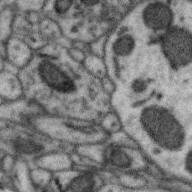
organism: Zebra finch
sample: Brain